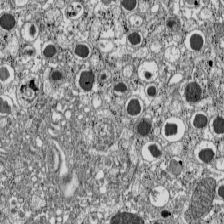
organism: C57BL Mouse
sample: Pancreatic islet